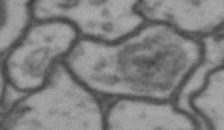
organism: Drosophila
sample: Brain